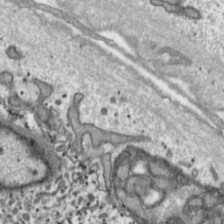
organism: Toxoplasma gondii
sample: Parasites in a vacuole inside a host cell